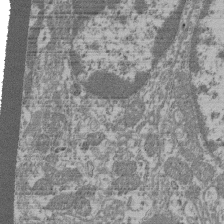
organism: Mouse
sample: Glomerulus